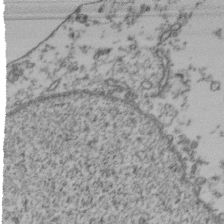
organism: Human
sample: Activated Jurkat CD4+ T cells